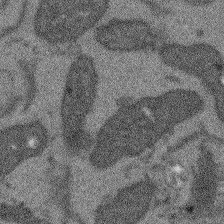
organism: Arabidopsis thaliana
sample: Root tip